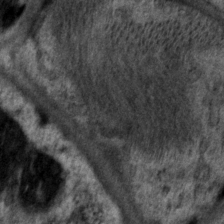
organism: P. pacificus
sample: Pharynx